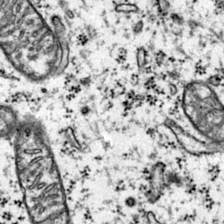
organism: Mouse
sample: Primary visual cortex